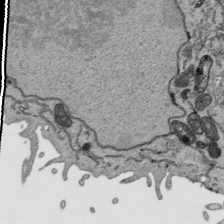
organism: Human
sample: Mitochondria in HCT116 cells